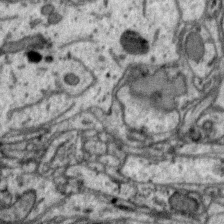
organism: Zebra finch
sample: Brain